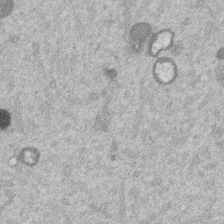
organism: Mouse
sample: Dividing mouse embryo 1 cell stage